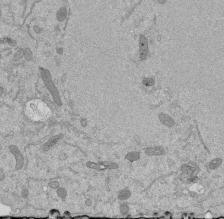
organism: Mouse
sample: ED-1 cell nuclei; centrioles